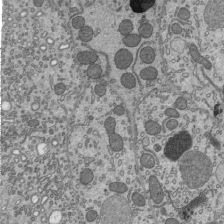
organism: Mouse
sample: Mouse epididymis efferent ductule cilia